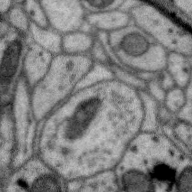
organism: Zebra finch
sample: Brain